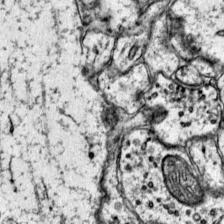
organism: Mouse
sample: Primary visual cortex